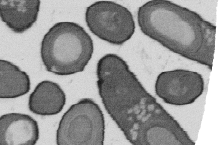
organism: B. subtilis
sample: Bacterial spore